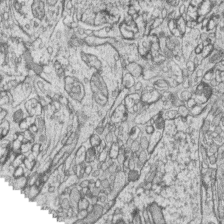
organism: Zebrafish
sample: synaptic ribbons in rod cells and cone cells